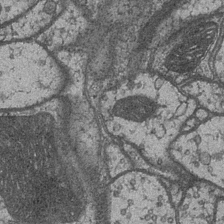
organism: Drosophila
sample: Optic medulla